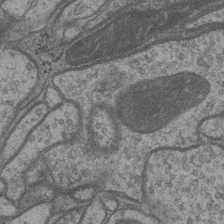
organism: Drosophila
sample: Optic medulla